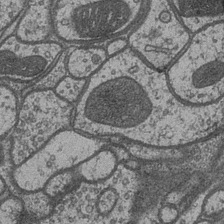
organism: Drosophila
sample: Optic medulla